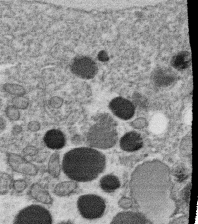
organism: C. elegans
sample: C. elegans oocyte; sperm cells